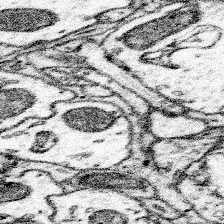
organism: Mouse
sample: Somatosensory cortex neuropil